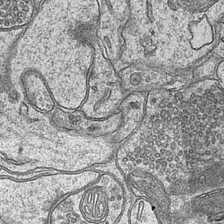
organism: Mouse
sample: CA1 Hippocampus